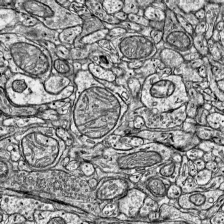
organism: Mouse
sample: Visual Cortex